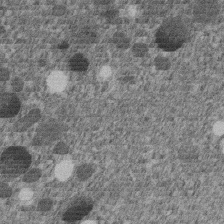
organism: C. elegans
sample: C. elegans embryo early stage